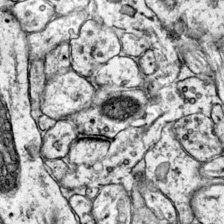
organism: Mouse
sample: Primary visual cortex